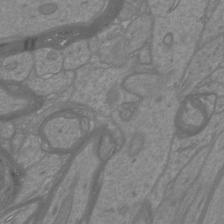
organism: Mouse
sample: Cortical neurons